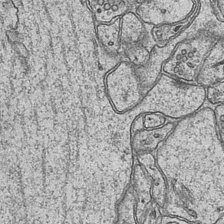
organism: Mouse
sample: CA1 Hippocampus